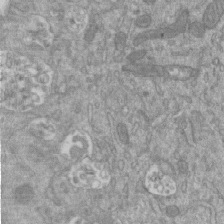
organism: Mouse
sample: ED-1 cell nuclei; centrioles